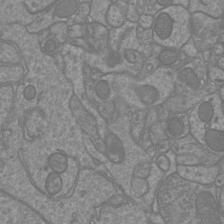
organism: Mouse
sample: Cortical neurons